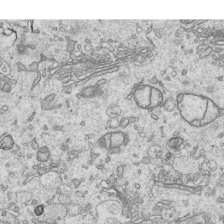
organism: Human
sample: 1205lu cells